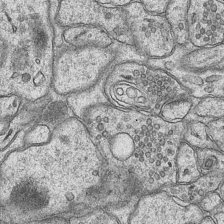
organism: Mouse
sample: CA1 Hippocampus